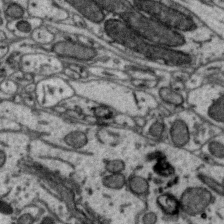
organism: Zebra finch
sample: Brain